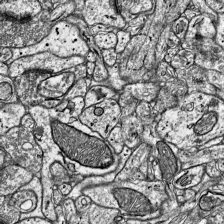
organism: Mouse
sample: Visual Cortex